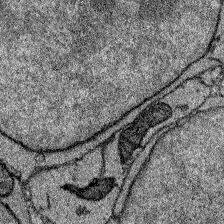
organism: Zebrafish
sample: Larval olfactory bulb